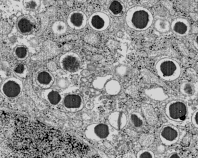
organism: C57BL Mouse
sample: Pancreatic islet